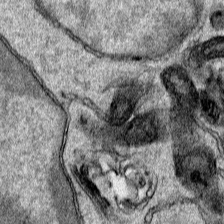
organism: Human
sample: Mitochondria in HCT116 cells